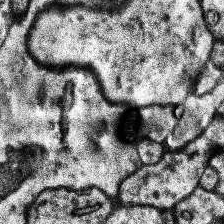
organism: Human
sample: Temporal Lobe